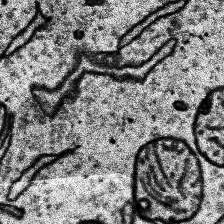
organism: Human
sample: Temporal Lobe